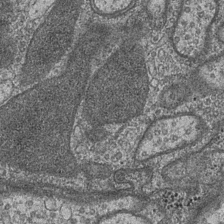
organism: Drosophila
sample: Optic medulla